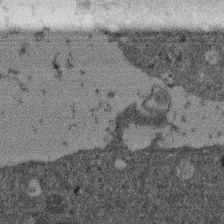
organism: Mouse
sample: Dividing mouse embryo 1 cell stage